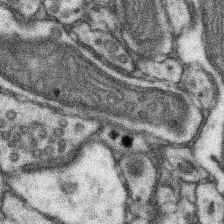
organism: Mouse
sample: Somatosensory cortex neuropil